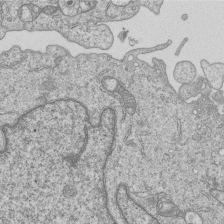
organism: Human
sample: MDA-MB-231 cells